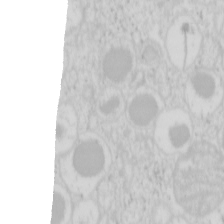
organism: Mouse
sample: Pancreas